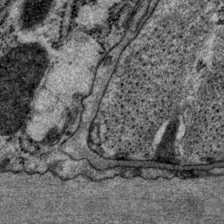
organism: P. pacificus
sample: Pharynx